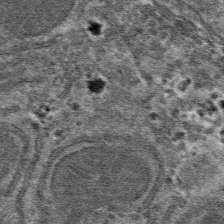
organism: Mouse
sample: Mouse hepatocytes